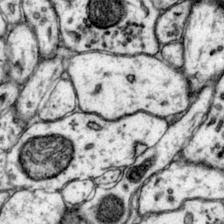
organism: Mouse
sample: Primary visual cortex